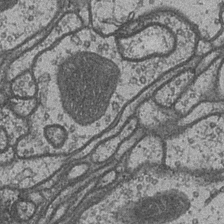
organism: Drosophila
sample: Optic medulla